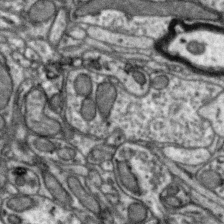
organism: Zebra finch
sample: Brain